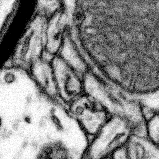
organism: Mouse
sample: Somatosensory cortex neuropil